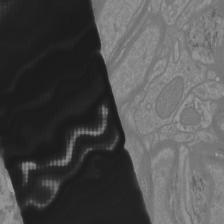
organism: Mouse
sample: Cortical neurons